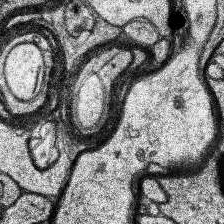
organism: Human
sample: Temporal Lobe